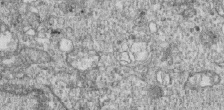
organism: Human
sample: HeLa cell HIV synapse